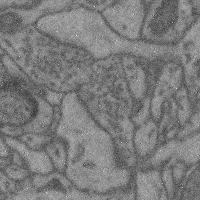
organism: Mouse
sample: Cerebral cortex